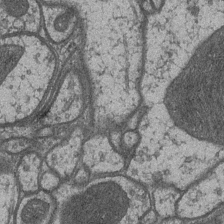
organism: Drosophila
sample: Optic medulla